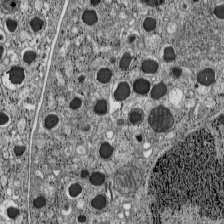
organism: C57BL Mouse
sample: Pancreatic islet